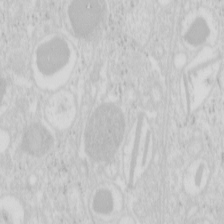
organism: Mouse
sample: Pancreas